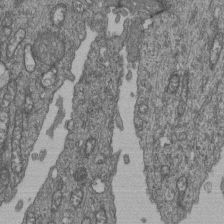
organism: Human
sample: Retinal organoid Rod and Cone cells